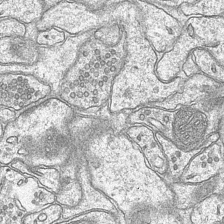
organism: Mouse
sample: CA1 Hippocampus